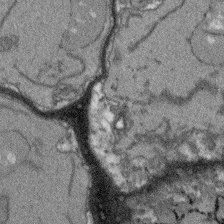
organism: Arabidopsis thaliana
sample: Root tip